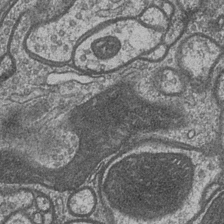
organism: Drosophila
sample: Optic medulla